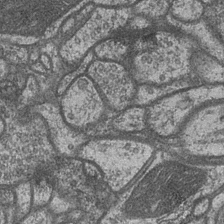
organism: Drosophila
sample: Optic medulla